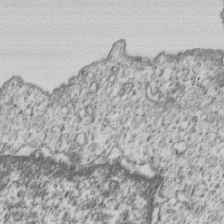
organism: Human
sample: MDA-MB-231 cells